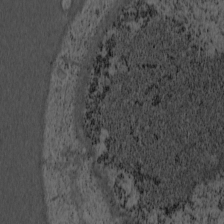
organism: African green monkey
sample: COS-7 cells